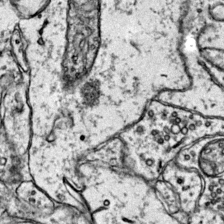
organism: Mouse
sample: Primary visual cortex